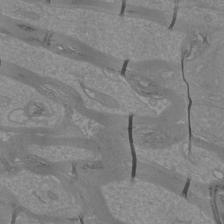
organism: Mouse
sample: Cortical neurons